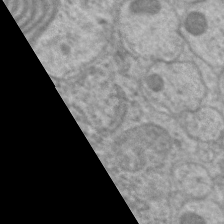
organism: C. elegans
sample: Pharynx